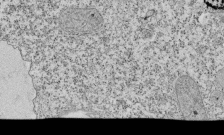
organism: Tetrahymena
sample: Cilia in tetrahymena